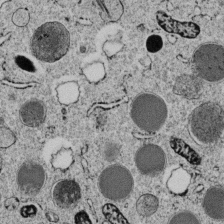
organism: C. elegans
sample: C. elegans embryo early stage